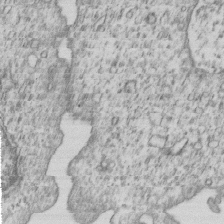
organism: Human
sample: MDA-MB-231 cells